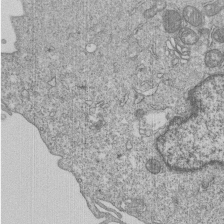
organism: Human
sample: MDA-MB-231 cells